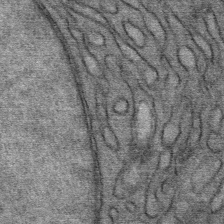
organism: Mouse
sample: Mouse Salivary gland